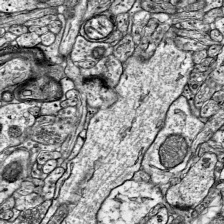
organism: Mouse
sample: Visual Cortex